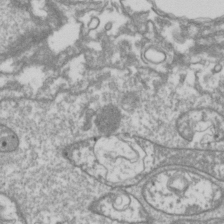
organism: Drosophila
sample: Cell division; meiosis; drosophila spermatocytes